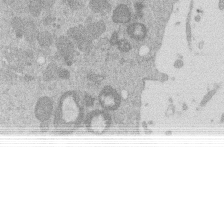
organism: Mouse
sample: Dividing mouse embryo 1 cell stage